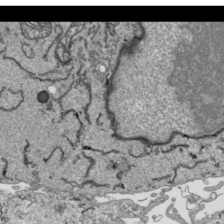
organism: Human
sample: Mitochondria in HCT116 cells